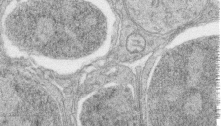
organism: Zebrafish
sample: synaptic ribbons in rod cells and cone cells